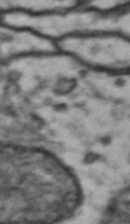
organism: Drosophila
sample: Brain